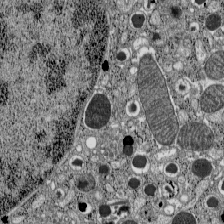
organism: C57BL Mouse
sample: Pancreatic islet